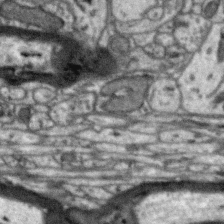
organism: Zebra finch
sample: Brain